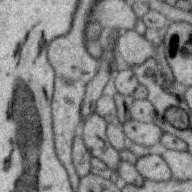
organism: Zebra finch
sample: Brain